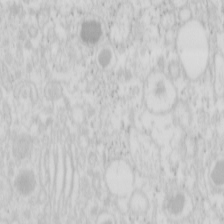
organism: Mouse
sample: Pancreas